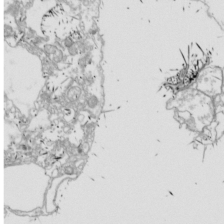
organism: Drosophila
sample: Cell division; meiosis; drosophila spermatocytes